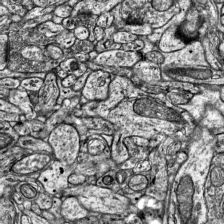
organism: Mouse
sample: Visual Cortex